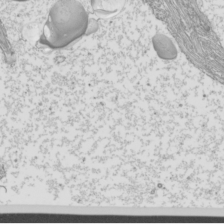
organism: Mouse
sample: Cilia; mouse epididymis